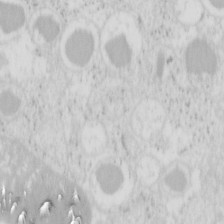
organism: Mouse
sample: Pancreas